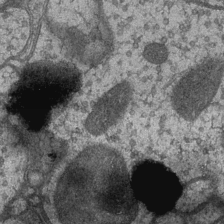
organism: Drosophila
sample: Optic medulla